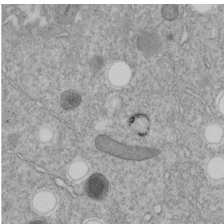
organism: C. elegans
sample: C. elegans embryo early stage